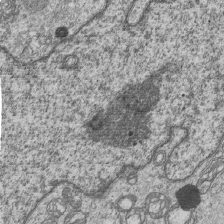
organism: Human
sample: MDA-MB-231 cells